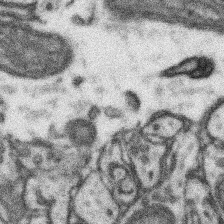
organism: Mouse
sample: Somatosensory cortex neuropil